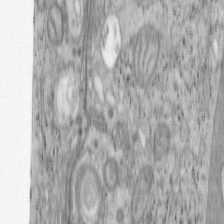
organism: Human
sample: HeLa cells